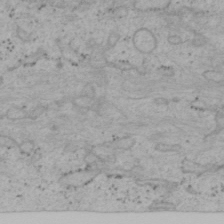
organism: Human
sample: HeLa cells